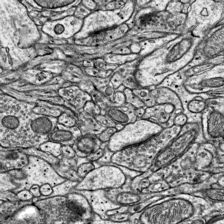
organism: Mouse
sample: Visual Cortex